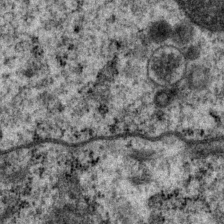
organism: P. pacificus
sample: Pharynx